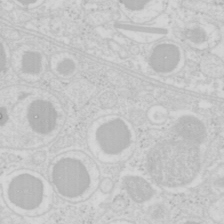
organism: Mouse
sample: Pancreas